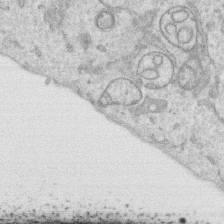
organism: Human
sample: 1205lu cells